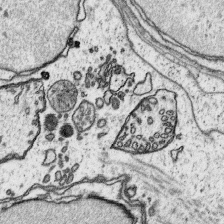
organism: Platynereis dumerilii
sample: Parapodia